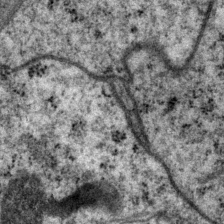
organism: P. pacificus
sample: Pharynx